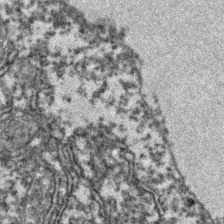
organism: Zebrafish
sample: Zebrafish embryo